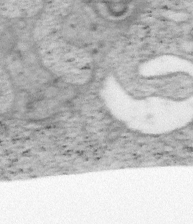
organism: Mouse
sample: OT-I killer T cells with ID8 ovarian cancer cells